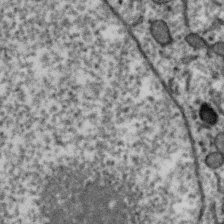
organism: Zebra finch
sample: Brain